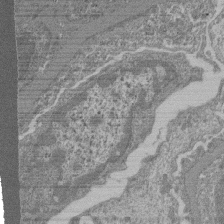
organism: Mouse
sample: Glomerulus